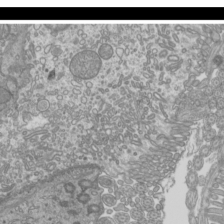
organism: Mouse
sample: Cilia; mouse epididymis